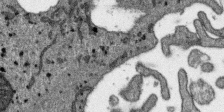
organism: Human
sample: Lung epithelial cells, uninfected (mock) control